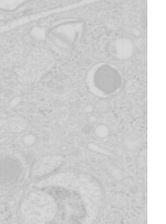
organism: Mouse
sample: Pancreas